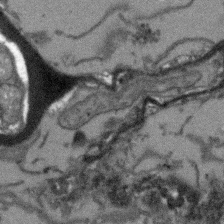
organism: Arabidopsis thaliana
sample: Root tip